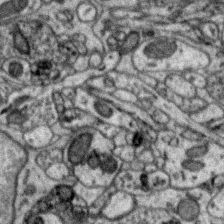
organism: Zebra finch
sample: Brain